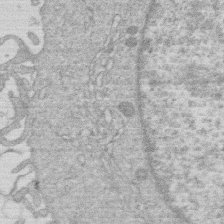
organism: Human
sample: Macrophage cells